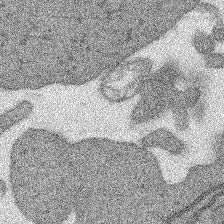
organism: Human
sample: HeLa cells